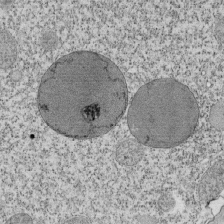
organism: Tetrahymena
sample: Cilia in tetrahymena